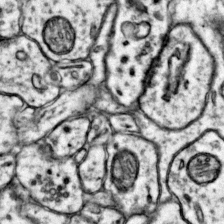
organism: Mouse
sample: Primary visual cortex